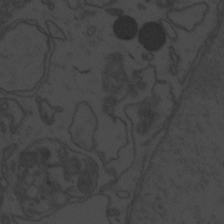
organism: Zebrafish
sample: Macrophage infected with Toxoplasma gondii